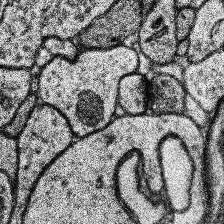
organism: Human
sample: Temporal Lobe